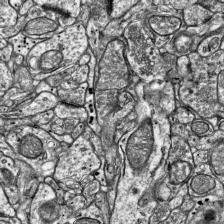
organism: Mouse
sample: Visual Cortex